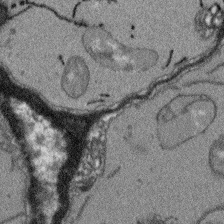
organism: Arabidopsis thaliana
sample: Root tip